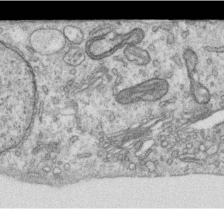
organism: Human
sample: Centriole in RPE cells